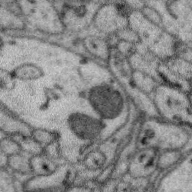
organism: Zebra finch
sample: Brain